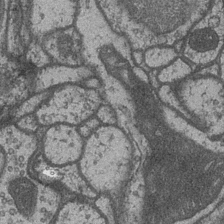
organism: Drosophila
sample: Optic medulla